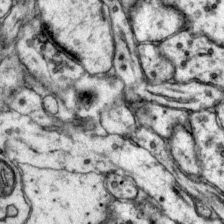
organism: Mouse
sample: Primary visual cortex